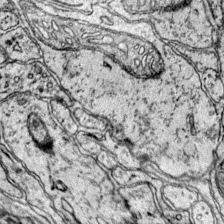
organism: Mouse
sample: Primary visual cortex